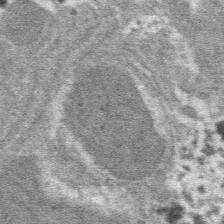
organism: Mouse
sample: Mouse hepatocytes